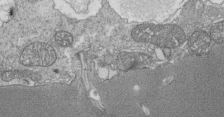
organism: Tetrahymena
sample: Cilia in tetrahymena